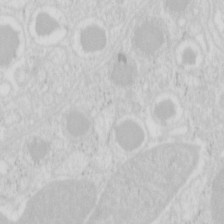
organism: Mouse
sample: Pancreas